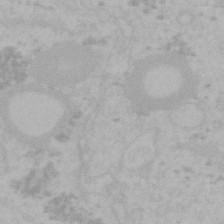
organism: Mouse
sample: Choroid plexus